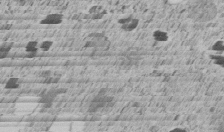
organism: C. elegans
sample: C. elegans embryo early stage